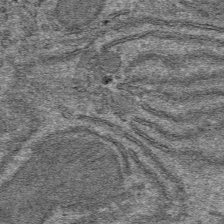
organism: Mouse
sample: Mouse hepatocytes